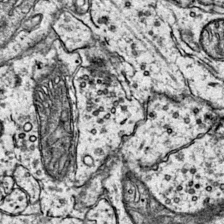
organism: Mouse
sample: Primary visual cortex